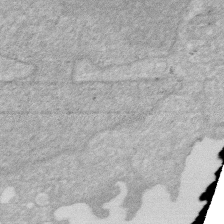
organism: Human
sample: HIV infected U937 cells